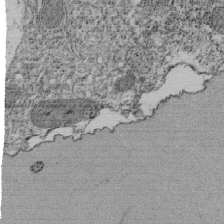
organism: Tetrahymena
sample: Cilia in tetrahymena